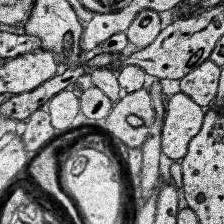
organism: Human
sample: Temporal Lobe